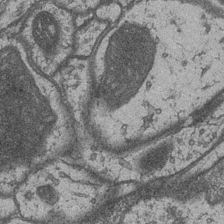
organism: Drosophila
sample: Optic medulla